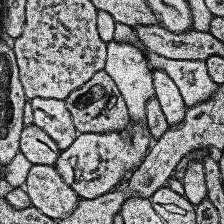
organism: Human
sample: Temporal Lobe